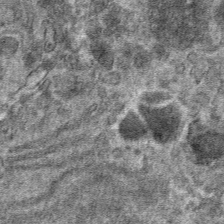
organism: Mouse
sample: Mouse hepatocytes